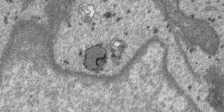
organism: Human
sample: Lung epithelial cells infected with SARS-CoV-2